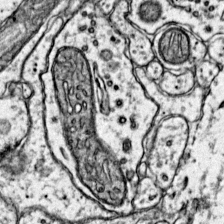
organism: Mouse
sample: Primary visual cortex